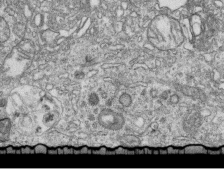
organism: Human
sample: HeLa cell HIV synapse